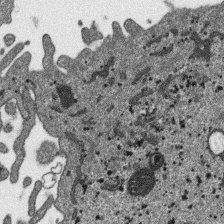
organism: Human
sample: Lung epithelial cells infected with SARS-CoV-2